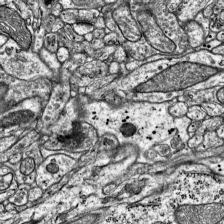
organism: Mouse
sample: Visual Cortex